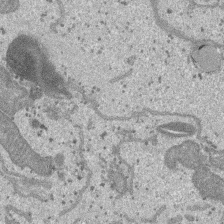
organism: Human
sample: Lung epithelial cells infected with SARS-CoV-2